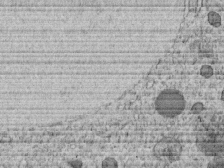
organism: C. elegans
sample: C. elegans embryo early stage